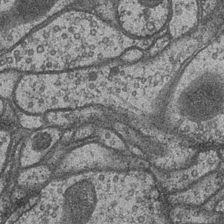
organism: Drosophila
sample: Optic medulla